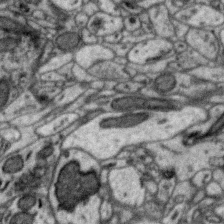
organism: Zebra finch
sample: Brain